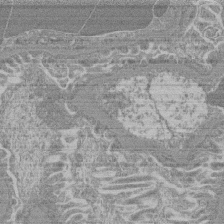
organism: Mouse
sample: Glomerulus